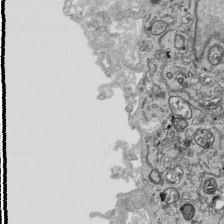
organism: Human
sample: Mitochondria in HCT116 cells